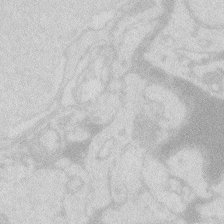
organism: Zebrafish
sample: Macrophage